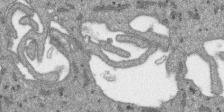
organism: Human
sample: Lung epithelial cells infected with SARS-CoV-2